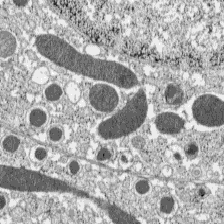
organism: C57BL Mouse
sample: Pancreatic islet